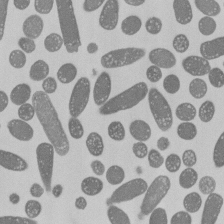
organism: E. coli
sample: Bacterial nucleoid